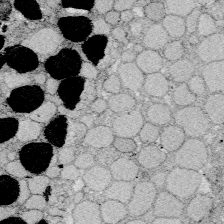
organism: Zebrafish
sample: Whole-Brain